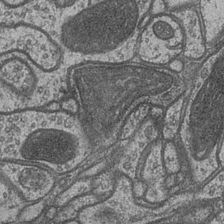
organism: Drosophila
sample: Optic medulla